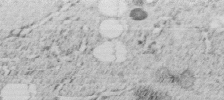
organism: C. elegans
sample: C. elegans embryo early stage